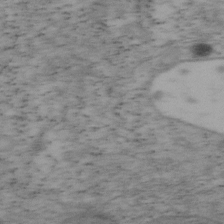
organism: Mouse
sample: OT-I killer T cells with ID8 ovarian cancer cells